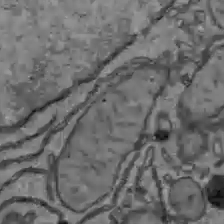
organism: C57BL Mouse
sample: Liver